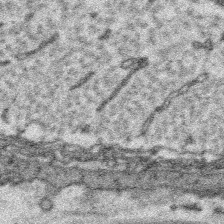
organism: Platynereis dumerilii